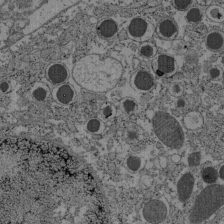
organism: C57BL Mouse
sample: Pancreatic islet